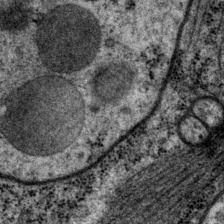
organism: P. pacificus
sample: Pharynx